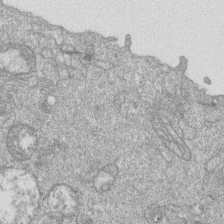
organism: Human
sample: HeLa cell HIV synapse